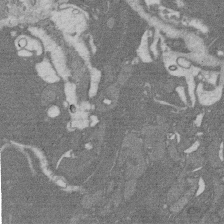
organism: Rat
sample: Salivary granule